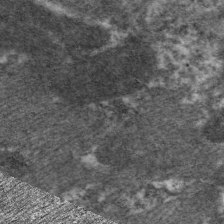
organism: C. elegans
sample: Pharynx